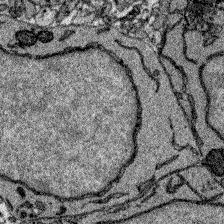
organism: Zebrafish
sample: Larval olfactory bulb